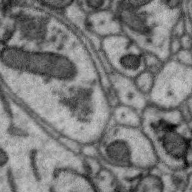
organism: Zebra finch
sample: Brain